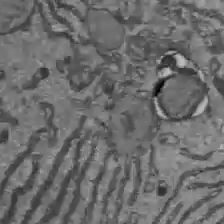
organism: C57BL Mouse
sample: Liver